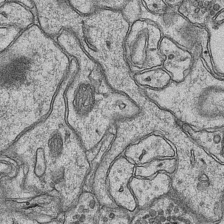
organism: Mouse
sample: CA1 Hippocampus